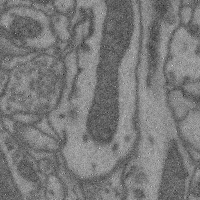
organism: Mouse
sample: Cerebral cortex